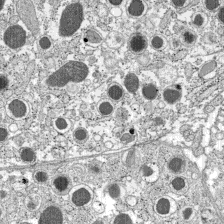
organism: C57BL Mouse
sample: Pancreatic islet